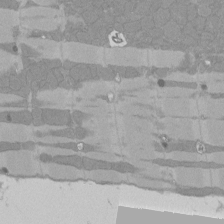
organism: Rat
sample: Left ventricle